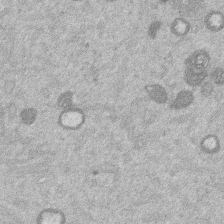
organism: Mouse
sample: Dividing mouse embryo 1 cell stage